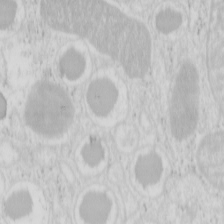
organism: Mouse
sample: Pancreas